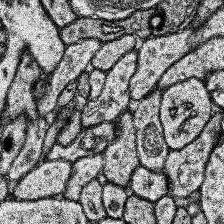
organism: Human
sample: Temporal Lobe